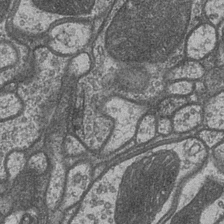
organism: Drosophila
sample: Optic medulla